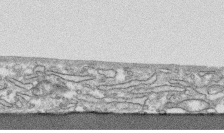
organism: Human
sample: CRL-1474